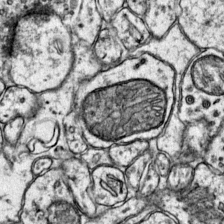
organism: Mouse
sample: Primary visual cortex